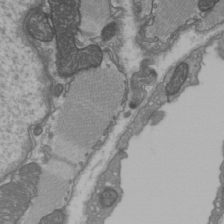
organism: C57BL Mouse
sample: Heart